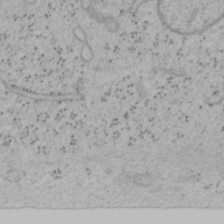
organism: Human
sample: HeLa cells